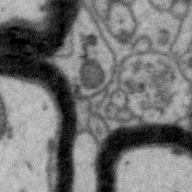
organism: Zebra finch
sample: Brain